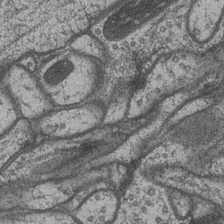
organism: Drosophila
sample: Optic medulla